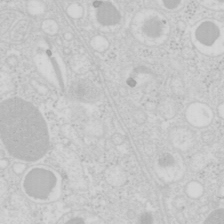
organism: Mouse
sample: Pancreas